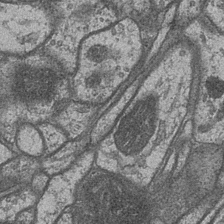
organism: Drosophila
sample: Optic medulla